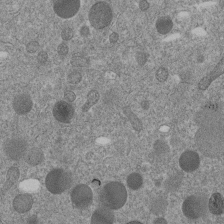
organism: C. elegans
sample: C. elegans embryo early stage